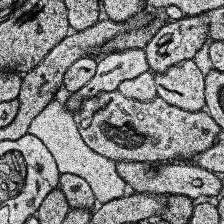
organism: Human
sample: Temporal Lobe